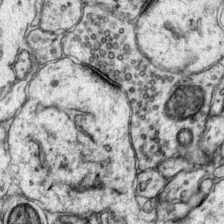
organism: Mouse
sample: Primary visual cortex